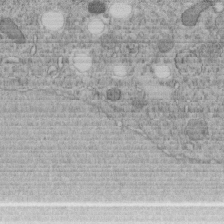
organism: C. elegans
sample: C. elegans embryo early stage